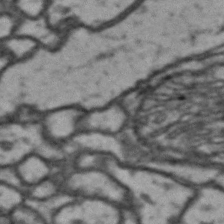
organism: Drosophila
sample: Brain